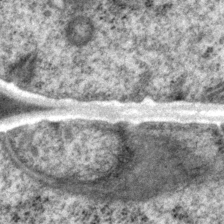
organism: P. pacificus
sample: Pharynx